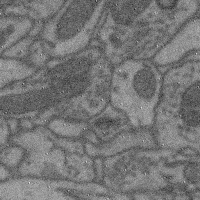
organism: Mouse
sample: Cerebral cortex